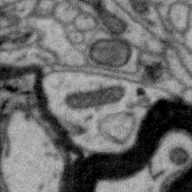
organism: Zebra finch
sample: Brain